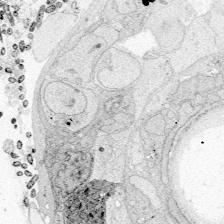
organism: Zebrafish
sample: Whole-Brain